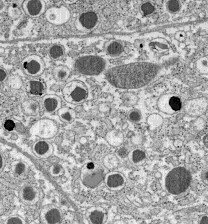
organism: C57BL Mouse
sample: Pancreatic islet